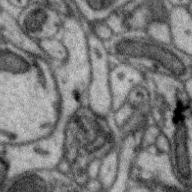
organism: Zebra finch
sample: Brain